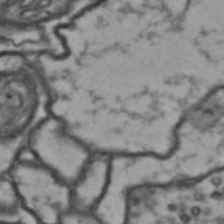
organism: Drosophila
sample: Brain